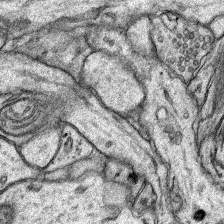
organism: Rat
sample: Hippocampus